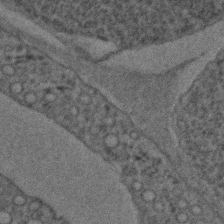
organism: C. elegans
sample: C. elegans embryo